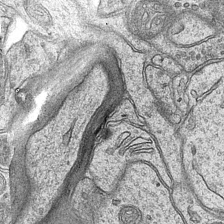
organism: Mouse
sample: CA1 Hippocampus